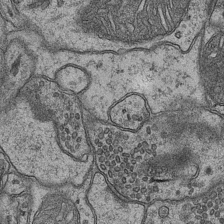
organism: Mouse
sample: CA1 Hippocampus